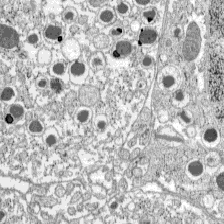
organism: C57BL Mouse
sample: Pancreatic islet